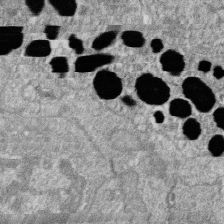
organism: Zebrafish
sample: Cilia; retinal pigment epithelium